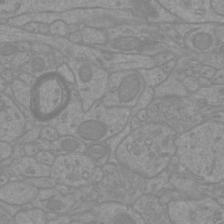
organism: Mouse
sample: Cortical neurons